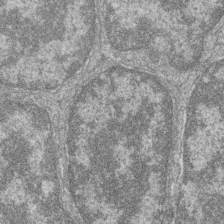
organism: Zebrafish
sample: Cilia; retinal pigment epithelium